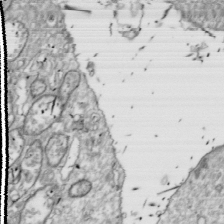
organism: Drosophila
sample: Cell division; meiosis; drosophila spermatocytes